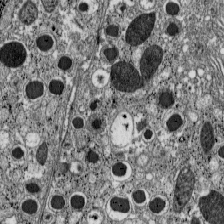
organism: C57BL Mouse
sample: Pancreatic islet